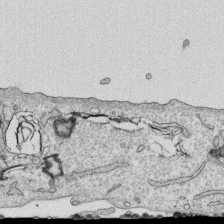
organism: Human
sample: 1205lu cells